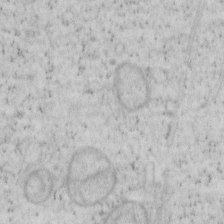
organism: Human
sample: HeLa cells